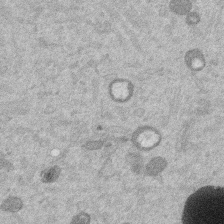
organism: Mouse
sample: Dividing mouse embryo 1 cell stage